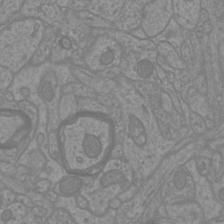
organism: Mouse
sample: Cortical neurons